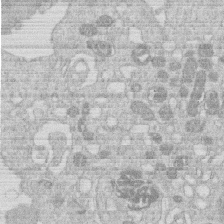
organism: Human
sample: Macrophage cells